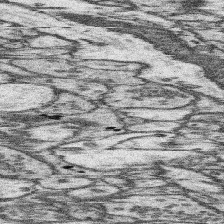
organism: Mouse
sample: Somatosensory cortex neuropil